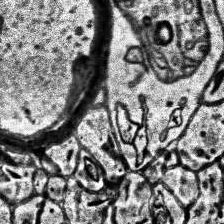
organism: Human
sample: Temporal Lobe